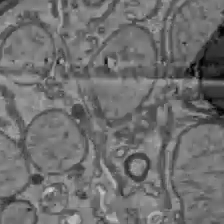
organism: C57BL Mouse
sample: Liver